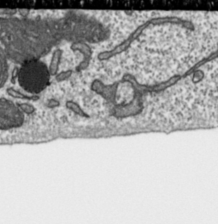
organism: Toxoplasma gondii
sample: Parasites in a vacuole inside a host cell